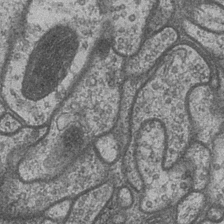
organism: Drosophila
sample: Optic medulla